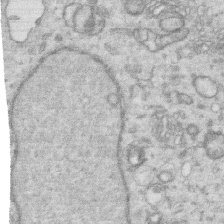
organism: Human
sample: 1205lu cells